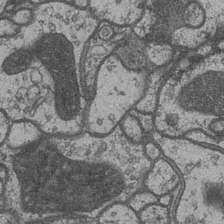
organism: Drosophila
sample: Optic medulla